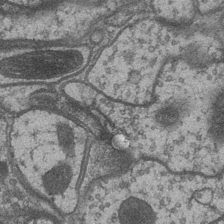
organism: Drosophila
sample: Optic medulla